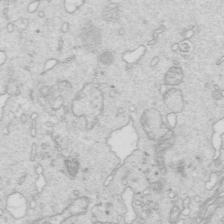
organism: Mouse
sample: Multiciliated cells